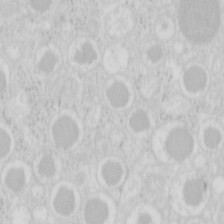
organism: Mouse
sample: Pancreas